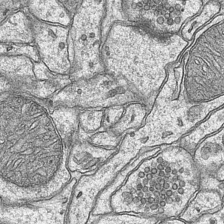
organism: Mouse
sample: CA1 Hippocampus